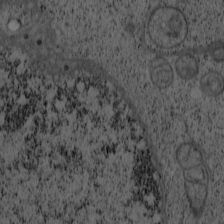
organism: African green monkey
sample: COS-7 cells